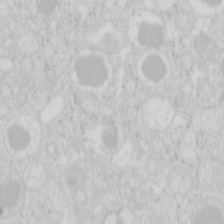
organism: Mouse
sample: Pancreas